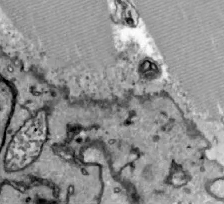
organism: Zebrafish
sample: Actinotrichia fibers